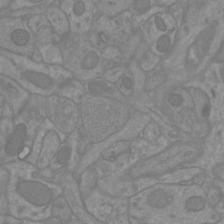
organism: Mouse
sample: Cortical neurons